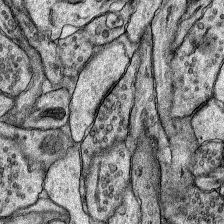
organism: Rat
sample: Hippocampus